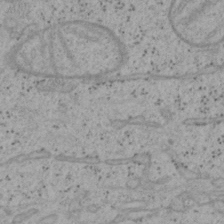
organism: Human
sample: HeLa cells